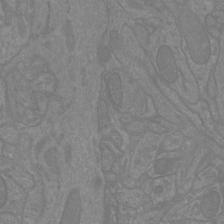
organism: Mouse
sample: Cortical neurons